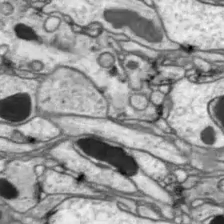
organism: Drosophila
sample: Optic lobe